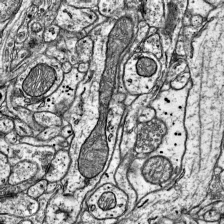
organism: Mouse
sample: Visual Cortex